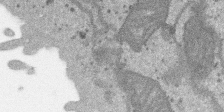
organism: Human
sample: Lung epithelial cells infected with SARS-CoV-2